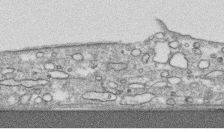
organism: Human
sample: CRL-1474